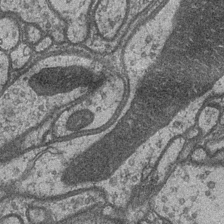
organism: Drosophila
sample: Optic medulla